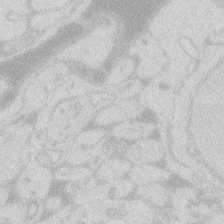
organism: Zebrafish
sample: Macrophage